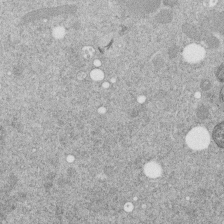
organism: C. elegans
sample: C. elegans embryo early stage